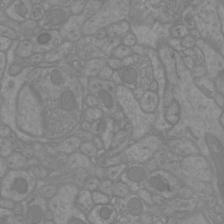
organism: Mouse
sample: Cortical neurons